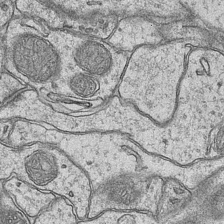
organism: Mouse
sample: CA1 Hippocampus